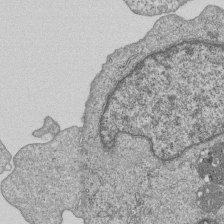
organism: Human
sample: MDA-MB-231 cells